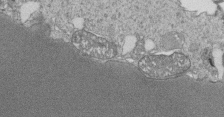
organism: Tetrahymena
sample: Cilia in tetrahymena